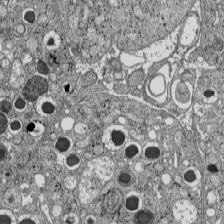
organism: C57BL Mouse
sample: Pancreatic islet